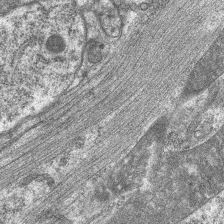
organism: C. elegans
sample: Pharynx